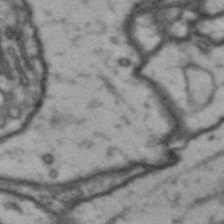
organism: Drosophila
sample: Brain